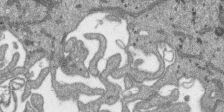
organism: Human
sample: Lung epithelial cells infected with SARS-CoV-2